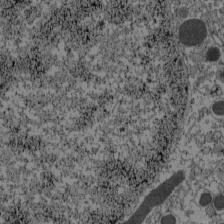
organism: C57BL Mouse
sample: Pancreatic islet